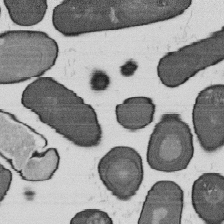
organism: B. subtilis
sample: Bacterial spore